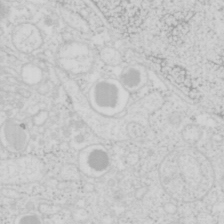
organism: Mouse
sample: Pancreas